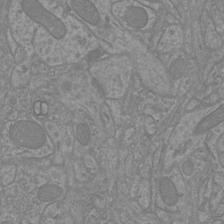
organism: Mouse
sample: Cortical neurons